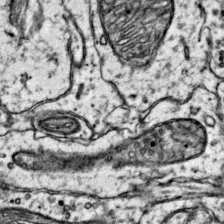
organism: Mouse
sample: Primary visual cortex